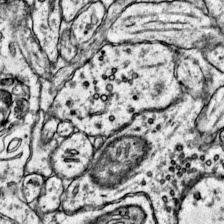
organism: Mouse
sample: Primary visual cortex